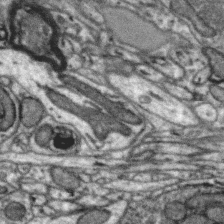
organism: Zebra finch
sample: Brain